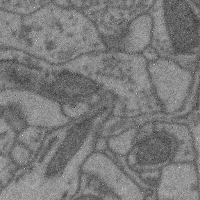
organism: Mouse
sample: Cerebral cortex